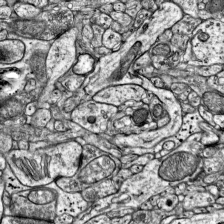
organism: Mouse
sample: Visual Cortex